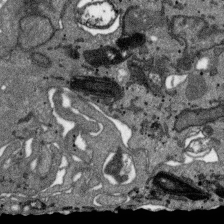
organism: Human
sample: Lung epithelial cells, uninfected (mock) control